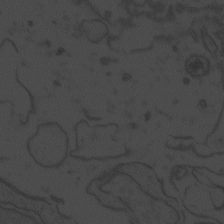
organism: Zebrafish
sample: Macrophage infected with Toxoplasma gondii